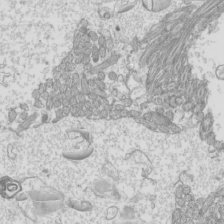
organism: Mouse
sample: Cilia; mouse epididymis